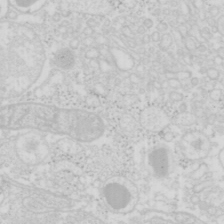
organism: Mouse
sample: Pancreas